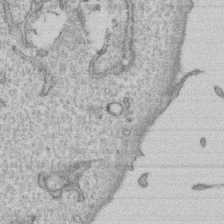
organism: Human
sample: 1205lu cells